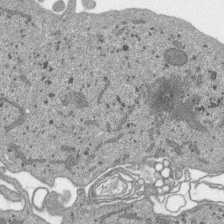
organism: Human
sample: Lung epithelial cells infected with SARS-CoV-2